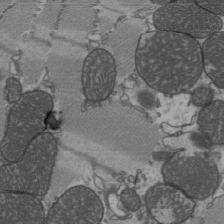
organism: C57BL Mouse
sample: Heart